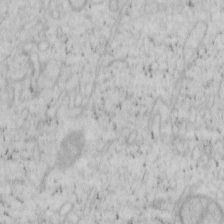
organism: Human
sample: HeLa cells